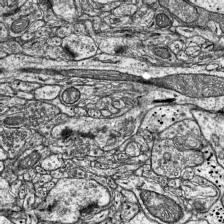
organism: Mouse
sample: Visual Cortex